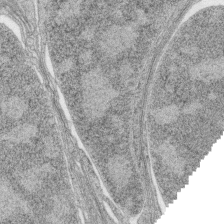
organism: Zebrafish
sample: synaptic ribbons in rod cells and cone cells